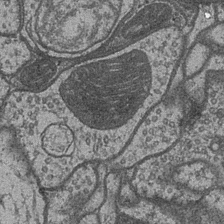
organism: Drosophila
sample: Optic medulla